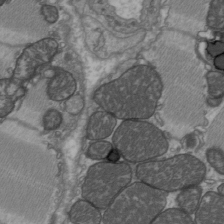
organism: C57BL Mouse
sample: Heart